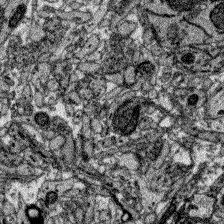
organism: Zebrafish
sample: Larval olfactory bulb